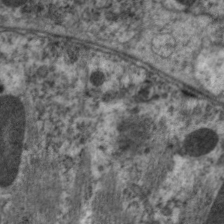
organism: C. elegans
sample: Pharynx